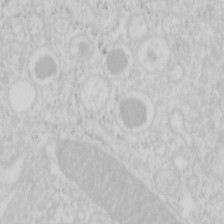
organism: Mouse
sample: Pancreas